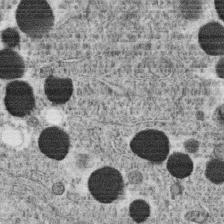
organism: C. elegans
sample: C. elegans oocyte; sperm cells